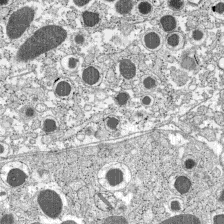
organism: C57BL Mouse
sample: Pancreatic islet